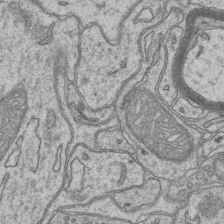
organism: Mouse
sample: CA1 Hippocampus